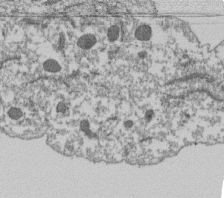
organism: Dictyostelium discoideum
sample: Dictyostelium multivesicular bodies